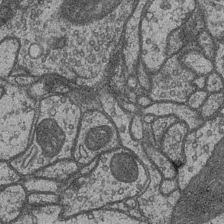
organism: Drosophila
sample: Optic medulla